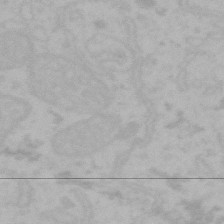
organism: Mouse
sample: Choroid plexus